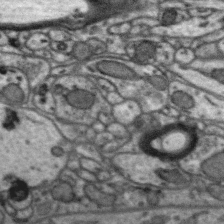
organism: Zebra finch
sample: Brain